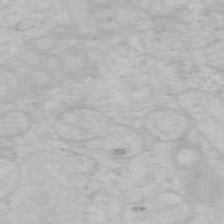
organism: Mouse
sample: OT-I killer T cells with ID8 ovarian cancer cells